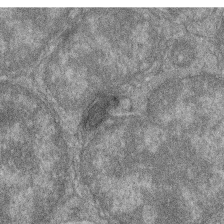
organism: Zebrafish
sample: Cilia; retinal pigment epithelium